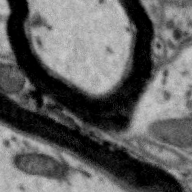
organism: Zebra finch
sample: Brain